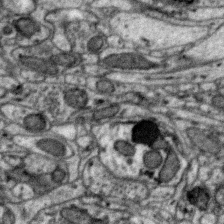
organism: Zebra finch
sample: Brain